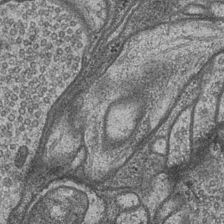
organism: Drosophila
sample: Optic medulla